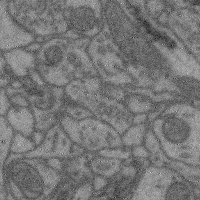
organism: Mouse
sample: Cerebral cortex